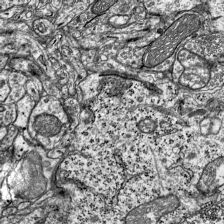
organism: Mouse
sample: Visual Cortex